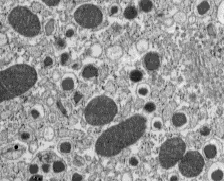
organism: C57BL Mouse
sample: Pancreatic islet